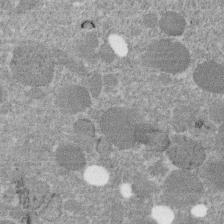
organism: C. elegans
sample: C. elegans embryo early stage